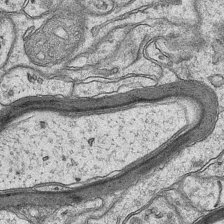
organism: Mouse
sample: CA1 Hippocampus